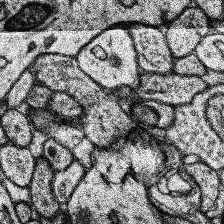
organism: Human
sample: Temporal Lobe